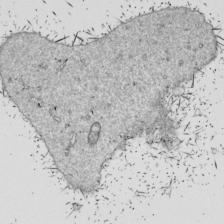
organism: Drosophila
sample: Cell division; meiosis; drosophila spermatocytes